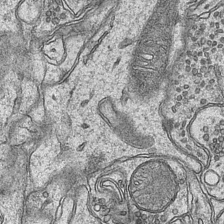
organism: Mouse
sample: CA1 Hippocampus